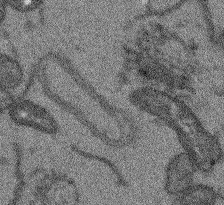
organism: Arabidopsis thaliana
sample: Root tip